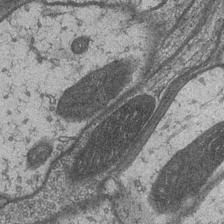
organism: Drosophila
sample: Optic medulla